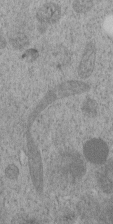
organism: C. elegans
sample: C. elegans embryo early stage